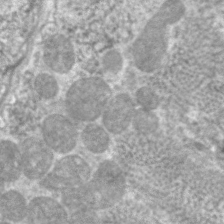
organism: C. elegans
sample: Pharynx